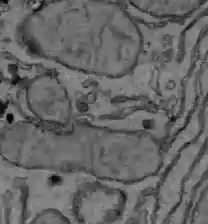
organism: C57BL Mouse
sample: Liver